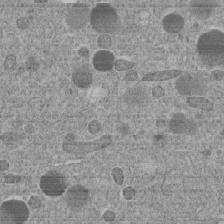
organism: C. elegans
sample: C. elegans embryo early stage